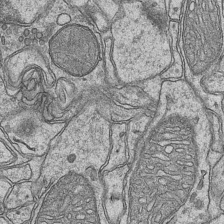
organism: Mouse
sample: CA1 Hippocampus